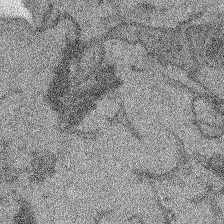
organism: Human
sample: HeLa cells